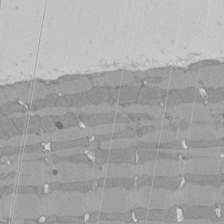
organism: Rat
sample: Left ventricle